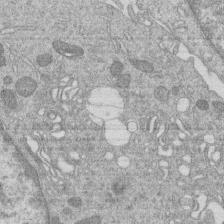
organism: Human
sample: Macrophage cells